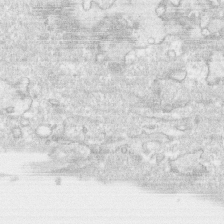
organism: Human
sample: CRL-1474